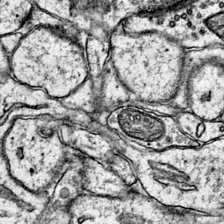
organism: Mouse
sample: Primary visual cortex